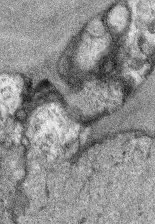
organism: Mouse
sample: Corneal nerves